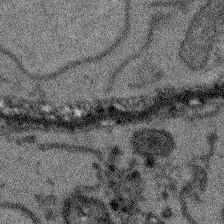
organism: Arabidopsis thaliana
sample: Root tip